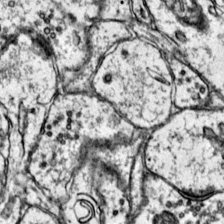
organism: Mouse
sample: Primary visual cortex